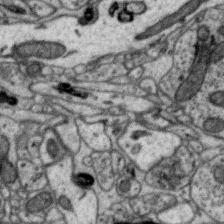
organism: Zebra finch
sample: Brain